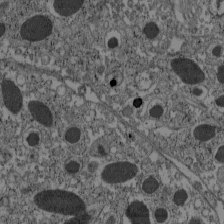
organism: C57BL Mouse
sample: Pancreatic islet